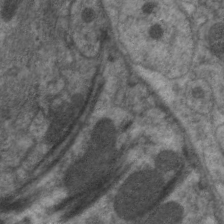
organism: C. elegans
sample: Pharynx